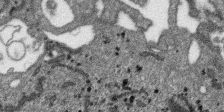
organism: Human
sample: Lung epithelial cells infected with SARS-CoV-2